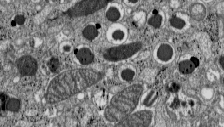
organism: C57BL Mouse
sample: Pancreatic islet